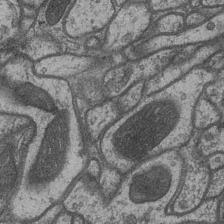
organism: Drosophila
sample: Optic medulla